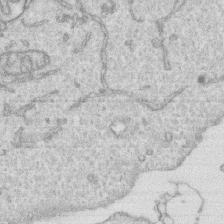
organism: Human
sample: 1205lu cells